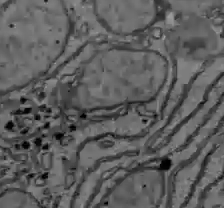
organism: C57BL Mouse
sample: Liver